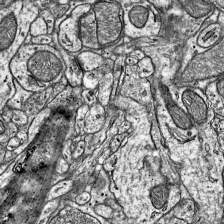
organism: Mouse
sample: Visual Cortex